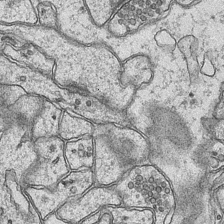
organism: Mouse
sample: CA1 Hippocampus